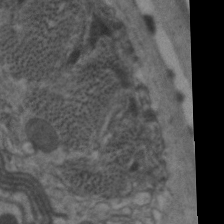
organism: C. elegans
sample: Pharynx